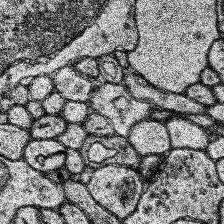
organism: Human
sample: Temporal Lobe